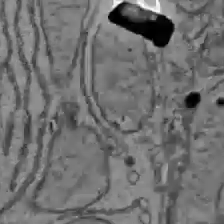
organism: C57BL Mouse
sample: Liver